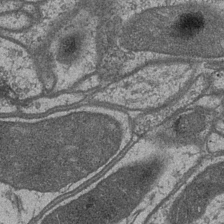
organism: Drosophila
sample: Optic medulla